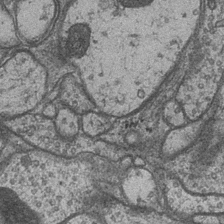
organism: Drosophila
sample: Optic medulla